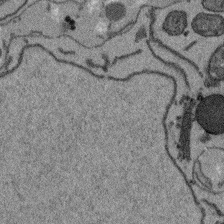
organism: Arabidopsis thaliana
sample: Root tip